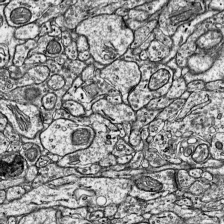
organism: Mouse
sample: Visual Cortex